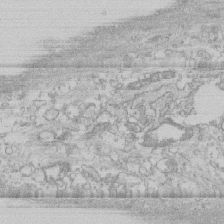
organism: Human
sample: CRL-1474